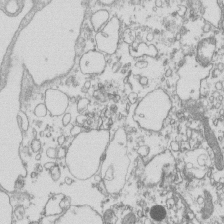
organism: Mouse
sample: Macrophages